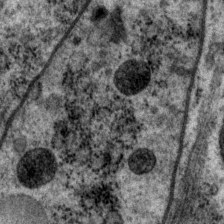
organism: P. pacificus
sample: Pharynx